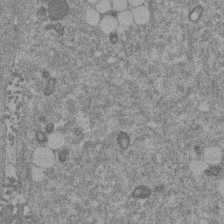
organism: Mouse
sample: Dividing mouse embryo 1 cell stage